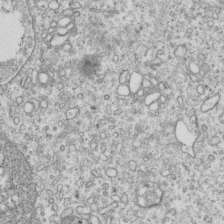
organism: Human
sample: MDA-MB-231 cells